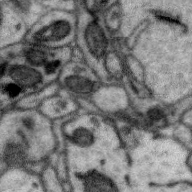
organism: Zebra finch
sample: Brain